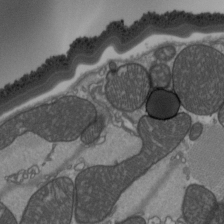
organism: C57BL Mouse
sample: Heart